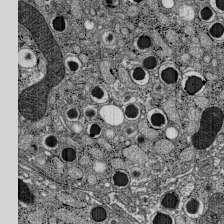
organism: C57BL Mouse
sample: Pancreatic islet